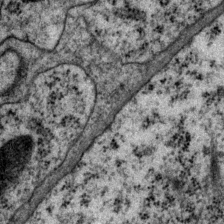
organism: P. pacificus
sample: Pharynx